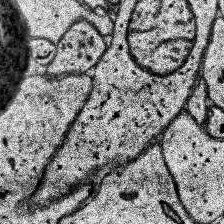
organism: Human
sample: Temporal Lobe